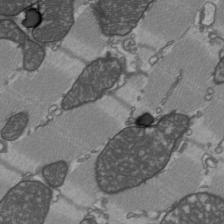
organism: C57BL Mouse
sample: Heart